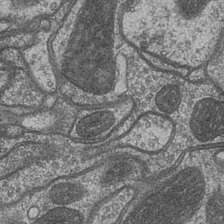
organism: Drosophila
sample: Optic medulla